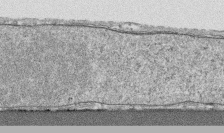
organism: Human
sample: CRL-1474